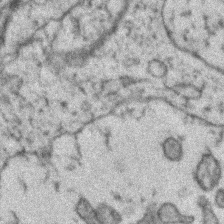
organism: Zebrafish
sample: Zebrafish embryo